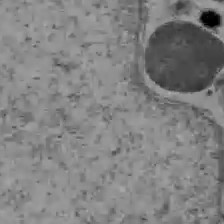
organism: C57BL Mouse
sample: Liver